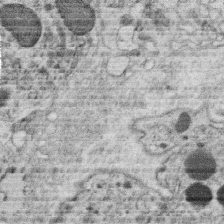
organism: C. elegans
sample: C. elegans oocyte; sperm cells